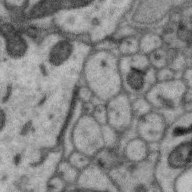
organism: Zebra finch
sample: Brain